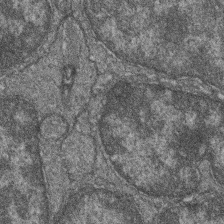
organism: Zebrafish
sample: Cilia; retinal pigment epithelium